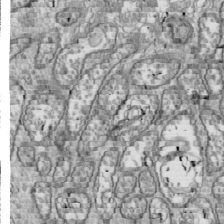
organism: Drosophila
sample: Cell division; meiosis; drosophila spermatocytes